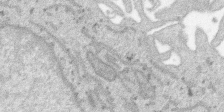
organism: Human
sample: Lung epithelial cells infected with SARS-CoV-2